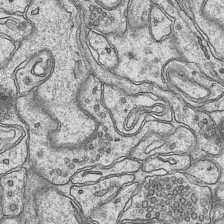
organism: Mouse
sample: CA1 Hippocampus